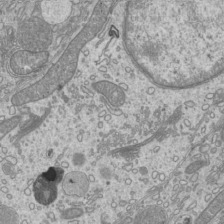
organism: Mouse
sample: Cilia; mouse epididymis